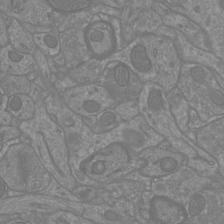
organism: Mouse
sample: Cortical neurons